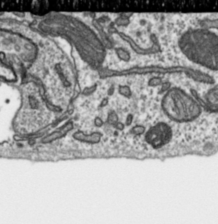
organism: Toxoplasma gondii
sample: Parasites in a vacuole inside a host cell